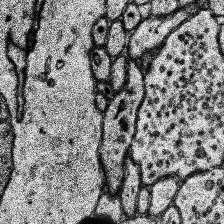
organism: Human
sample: Temporal Lobe